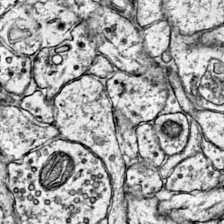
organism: Mouse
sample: Primary visual cortex